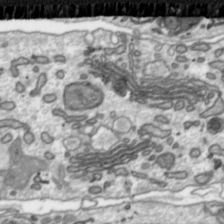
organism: Toxoplasma gondii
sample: Parasites in a vacuole inside a host cell